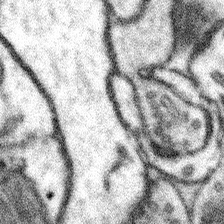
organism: Mouse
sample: Somatosensory cortex neuropil